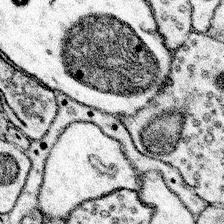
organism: Mouse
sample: Somatosensory cortex neuropil